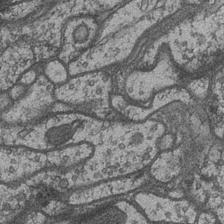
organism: Drosophila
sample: Optic medulla